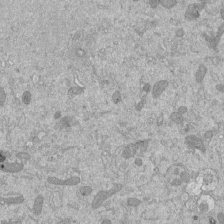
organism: Mouse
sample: ED-1 cell nuclei; centrioles